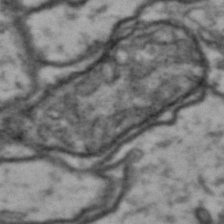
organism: Drosophila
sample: Brain